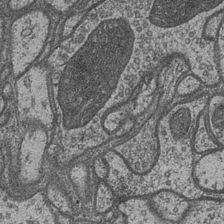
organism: Drosophila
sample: Optic medulla